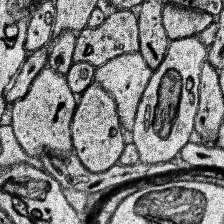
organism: Human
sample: Temporal Lobe